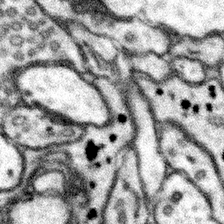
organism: Mouse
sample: Somatosensory cortex neuropil